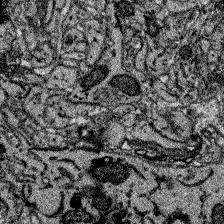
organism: Zebrafish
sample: Larval olfactory bulb